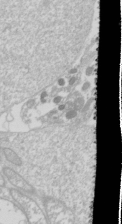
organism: Drosophila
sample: Cell division; meiosis; drosophila spermatocytes